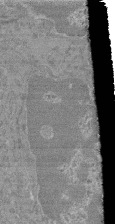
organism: Mouse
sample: Glomerulus